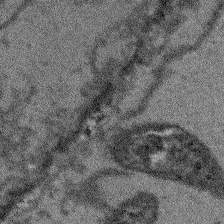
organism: Arabidopsis thaliana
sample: Root tip